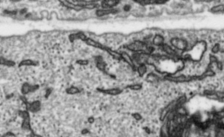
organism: Toxoplasma gondii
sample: Parasites in a vacuole inside a host cell